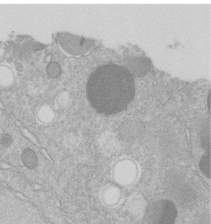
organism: C. elegans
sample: C. elegans embryo early stage